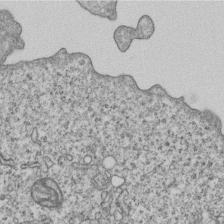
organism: Human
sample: MDA-MB-231 cells